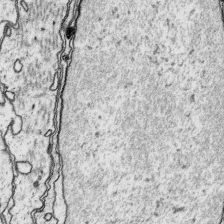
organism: Platynereis dumerilii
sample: Parapodia